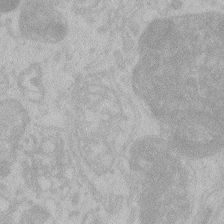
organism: Zebrafish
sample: Macrophage infected with Toxoplasma gondii